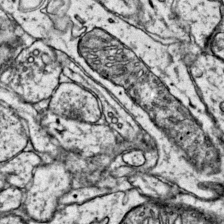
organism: Mouse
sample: Primary visual cortex